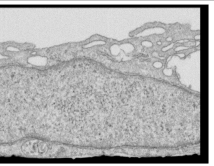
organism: Human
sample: Centriole in RPE cells